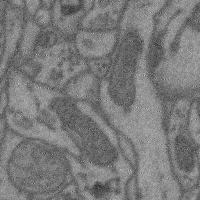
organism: Mouse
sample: Cerebral cortex